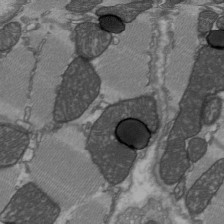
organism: C57BL Mouse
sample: Heart